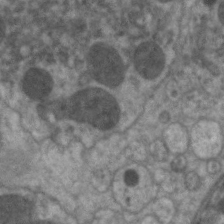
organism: C. elegans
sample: Pharynx